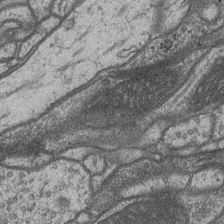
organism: Drosophila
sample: Optic medulla